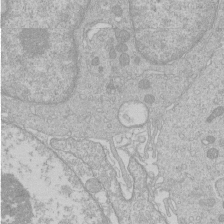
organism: Human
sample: Macrophage cells